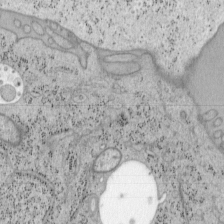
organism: Mouse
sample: OT-I killer T cells with ID8 ovarian cancer cells